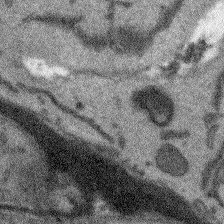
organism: Arabidopsis thaliana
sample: Root tip